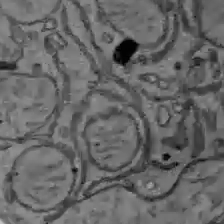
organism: C57BL Mouse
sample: Liver